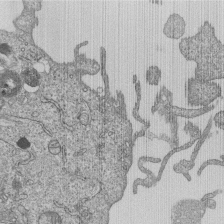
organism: Human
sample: MDA-MB-231 cells